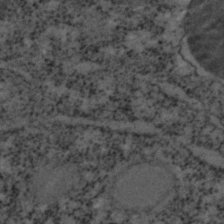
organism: C. elegans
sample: C. elegans embryo